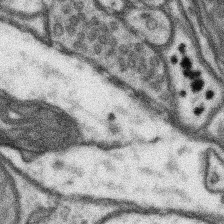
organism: Mouse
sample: Somatosensory cortex neuropil